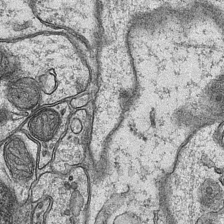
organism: Mouse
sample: CA1 Hippocampus